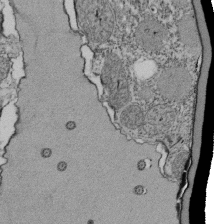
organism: Tetrahymena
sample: Cilia in tetrahymena